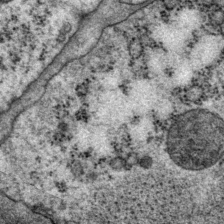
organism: P. pacificus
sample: Pharynx